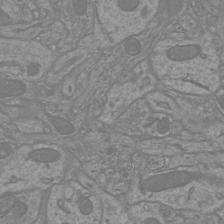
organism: Mouse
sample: Cortical neurons